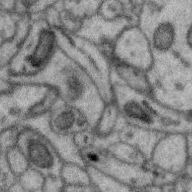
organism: Zebra finch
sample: Brain